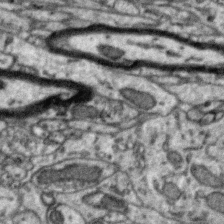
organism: Zebra finch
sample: Brain